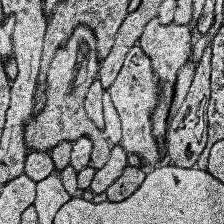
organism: Human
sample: Temporal Lobe